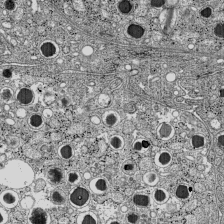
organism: C57BL Mouse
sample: Pancreatic islet